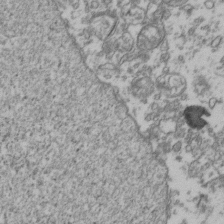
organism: Human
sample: Activated Jurkat CD4+ T cells